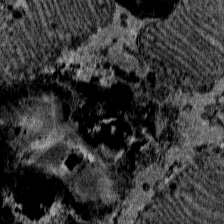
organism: Mouse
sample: Mouse Salivary gland